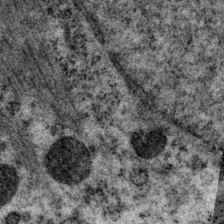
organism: P. pacificus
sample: Pharynx